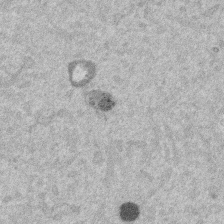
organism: Mouse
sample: Dividing mouse embryo 1 cell stage